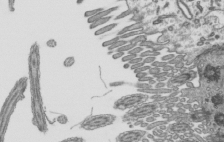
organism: Mouse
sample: Mouse epididymis efferent ductule cilia